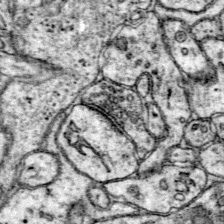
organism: Mouse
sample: Primary visual cortex